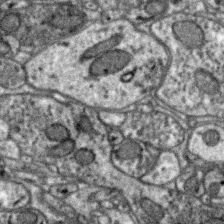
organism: Zebra finch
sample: Brain